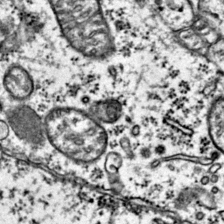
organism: Mouse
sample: Primary visual cortex